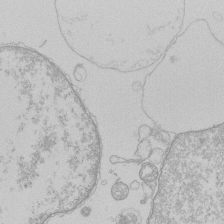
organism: Human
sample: Macrophage cells